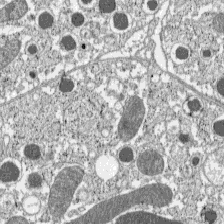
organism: C57BL Mouse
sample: Pancreatic islet